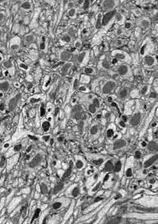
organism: Drosophila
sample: Optic lobe